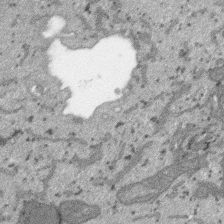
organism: Human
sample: Lung epithelial cells infected with SARS-CoV-2